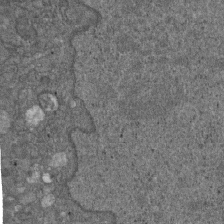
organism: Drosophila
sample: Nephrocyte